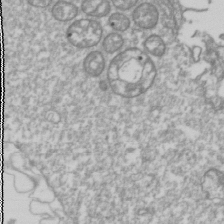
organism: Drosophila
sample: Cell division; meiosis; drosophila spermatocytes